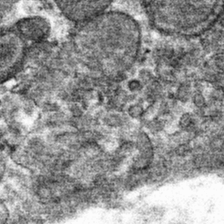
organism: Mouse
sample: Mouse hepatocytes